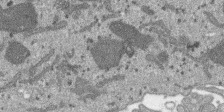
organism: Human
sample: Lung epithelial cells infected with SARS-CoV-2